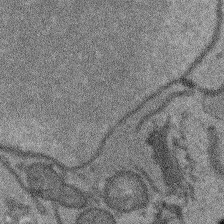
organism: Arabidopsis thaliana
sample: Root tip